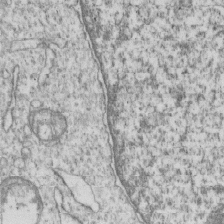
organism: Human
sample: MDA-MB-231 cells